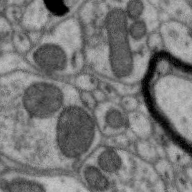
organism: Zebra finch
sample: Brain